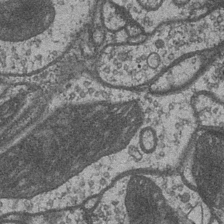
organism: Drosophila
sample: Optic medulla